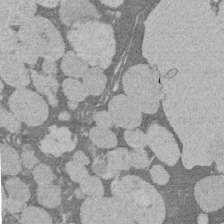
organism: Rat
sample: Salivary granule